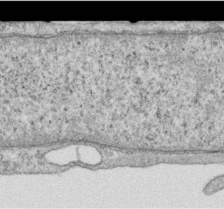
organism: Human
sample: Centriole in RPE cells